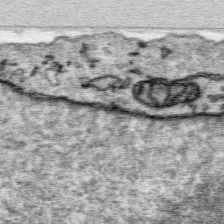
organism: Human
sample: HeLa cells